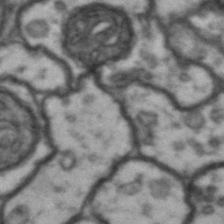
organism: Drosophila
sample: Brain